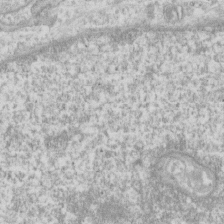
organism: Human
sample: Fibroblast cells